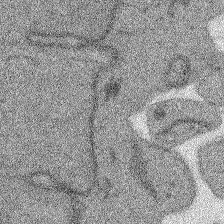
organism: Human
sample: HeLa cells